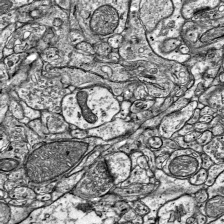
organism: Mouse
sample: Visual Cortex